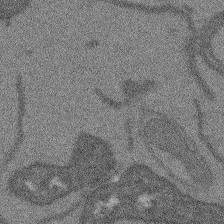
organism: Arabidopsis thaliana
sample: Root tip